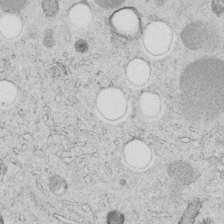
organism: C. elegans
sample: C. elegans embryo early stage